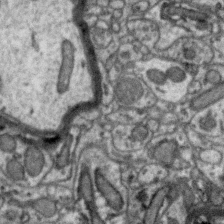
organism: Zebra finch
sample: Brain